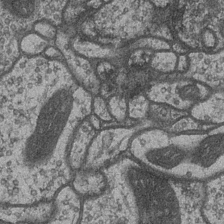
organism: Drosophila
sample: Optic medulla